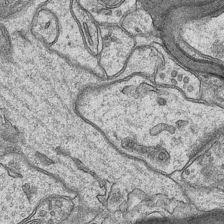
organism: Mouse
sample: CA1 Hippocampus